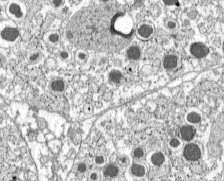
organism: C57BL Mouse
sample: Pancreatic islet